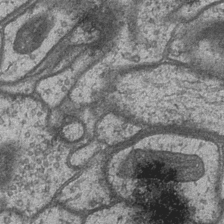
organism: Drosophila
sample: Optic medulla